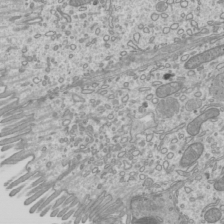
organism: Mouse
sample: Cilia; mouse epididymis